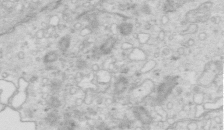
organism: Mouse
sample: Multiciliated cells